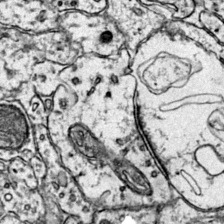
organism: Mouse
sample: Primary visual cortex